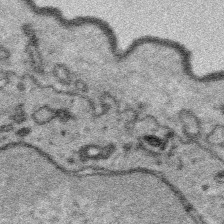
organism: Platynereis dumerilii